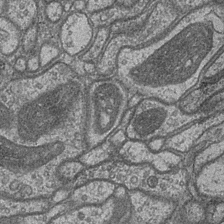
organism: Drosophila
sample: Optic medulla